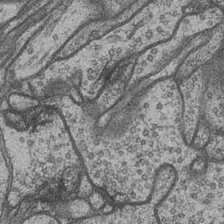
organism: Drosophila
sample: Optic medulla